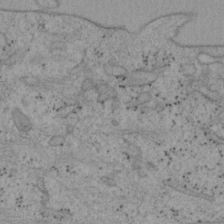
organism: Human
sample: HeLa cells